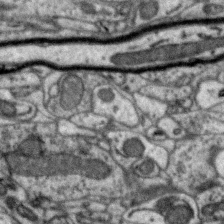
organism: Zebra finch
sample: Brain